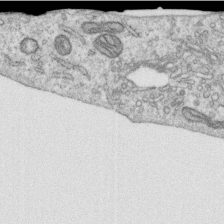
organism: Human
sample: Centriole in RPE cells